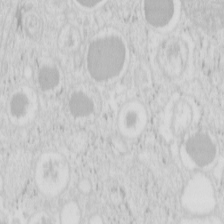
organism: Mouse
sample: Pancreas